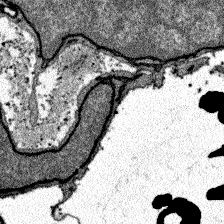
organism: Zebrafish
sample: Larval olfactory bulb